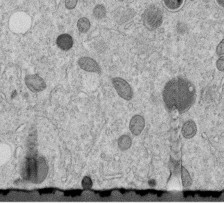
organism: C. elegans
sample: C. elegans embryo early stage